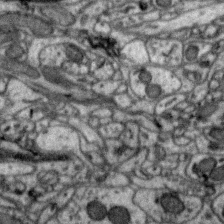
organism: Zebra finch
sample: Brain